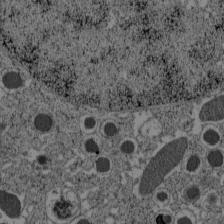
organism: C57BL Mouse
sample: Pancreatic islet